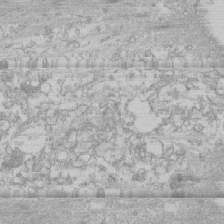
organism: Human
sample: CRL-1474